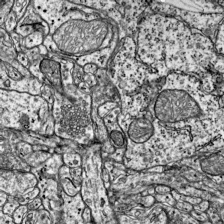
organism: Mouse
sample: Visual Cortex